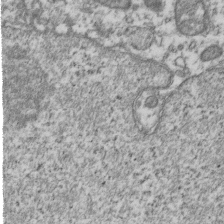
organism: Human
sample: Activated Jurkat CD4+ T cells